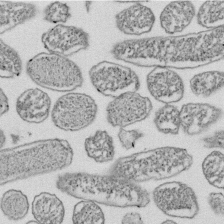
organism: E. coli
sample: Bacterial nucleoid